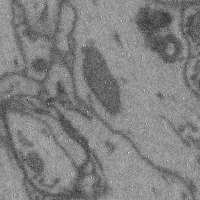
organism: Mouse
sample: Cerebral cortex